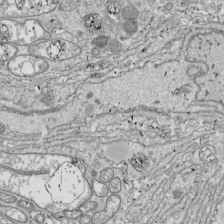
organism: Drosophila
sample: Cell division; meiosis; drosophila spermatocytes